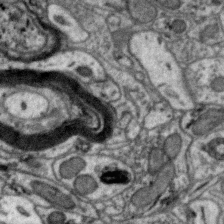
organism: Zebra finch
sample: Brain